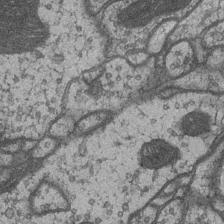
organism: Drosophila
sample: Optic medulla